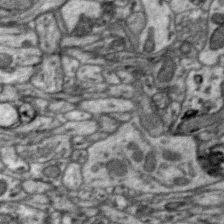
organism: Zebra finch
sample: Brain